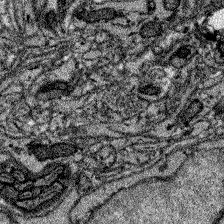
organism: Zebrafish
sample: Larval olfactory bulb